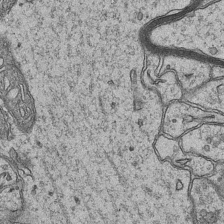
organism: Mouse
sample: CA1 Hippocampus